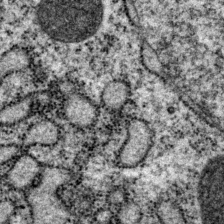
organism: P. pacificus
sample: Pharynx